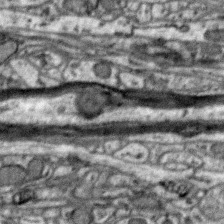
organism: Zebra finch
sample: Brain